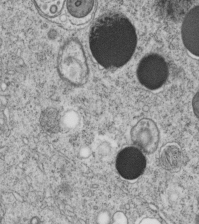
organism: C. elegans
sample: C. elegans embryo early stage